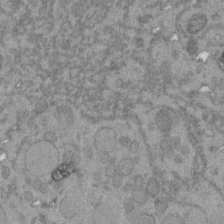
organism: C. elegans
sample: C. elegans embryo early stage